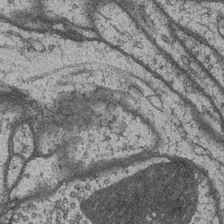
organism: Drosophila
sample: Optic medulla